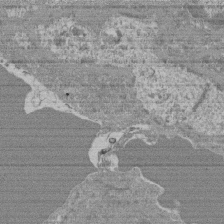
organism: Mouse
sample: Glomerulus